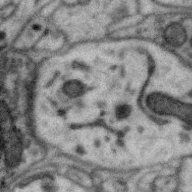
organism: Zebra finch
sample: Brain